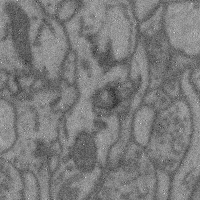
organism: Mouse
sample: Cerebral cortex